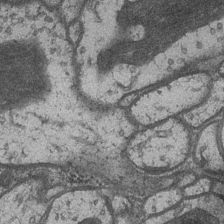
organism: Drosophila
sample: Optic medulla